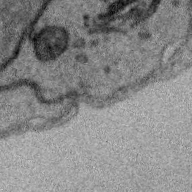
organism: Zebra finch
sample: Brain